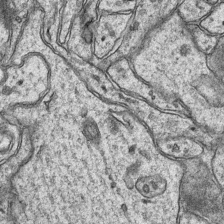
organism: Mouse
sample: CA1 Hippocampus